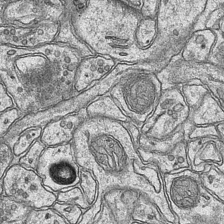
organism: Mouse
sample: CA1 Hippocampus